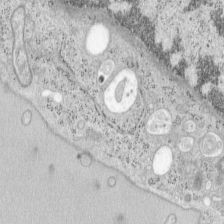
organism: Mouse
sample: OT-I killer T cells with ID8 ovarian cancer cells